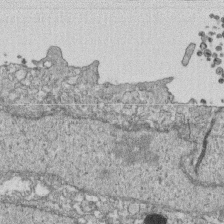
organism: Human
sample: HeLa cell HIV synapse